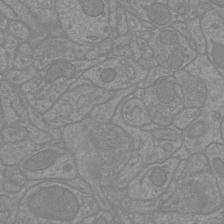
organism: Mouse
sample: Cortical neurons